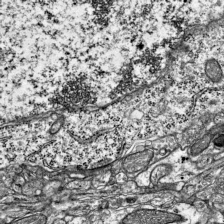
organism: Mouse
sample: Visual Cortex